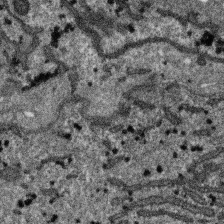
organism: Human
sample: Lung epithelial cells infected with SARS-CoV-2